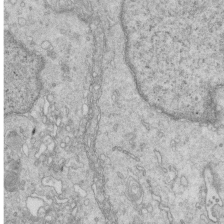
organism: Mouse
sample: Multiciliated cells